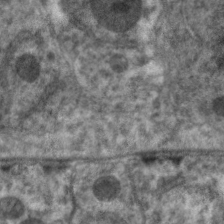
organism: C. elegans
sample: Pharynx